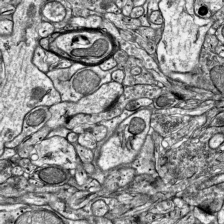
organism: Mouse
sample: Visual Cortex